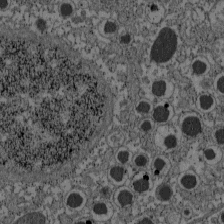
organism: C57BL Mouse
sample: Pancreatic islet